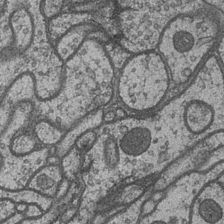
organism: Drosophila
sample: Optic medulla